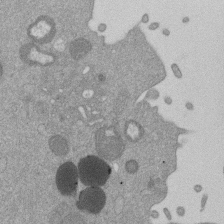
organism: Mouse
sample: Dividing mouse embryo 1 cell stage